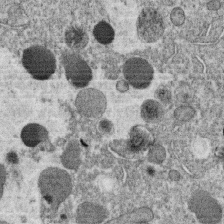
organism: C. elegans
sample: C. elegans oocyte; sperm cells